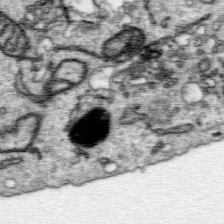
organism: Human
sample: HeLa cells